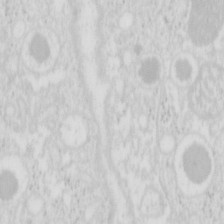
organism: Mouse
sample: Pancreas